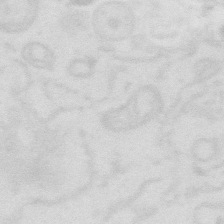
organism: Human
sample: HeLa cells